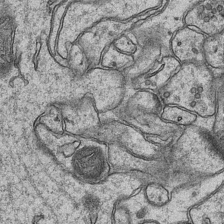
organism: Mouse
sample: CA1 Hippocampus